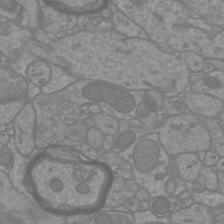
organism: Mouse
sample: Cortical neurons